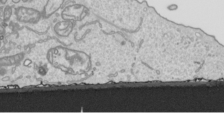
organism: Human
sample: Mitochondria in HCT116 cells